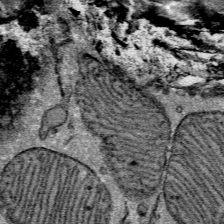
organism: Mouse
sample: Mouse Salivary gland